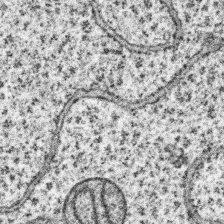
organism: Human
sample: HeLa cells